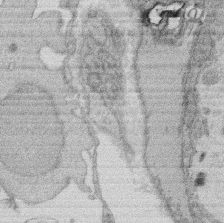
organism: Rat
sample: Salivary granule